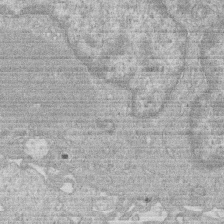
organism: Human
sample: Macrophage cells